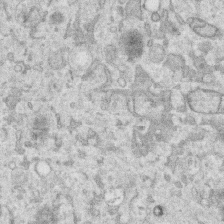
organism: Human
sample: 1205lu cells